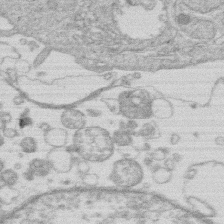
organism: Human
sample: Macrophage cells